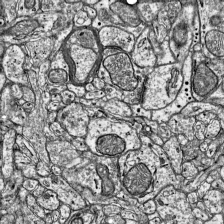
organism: Mouse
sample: Visual Cortex